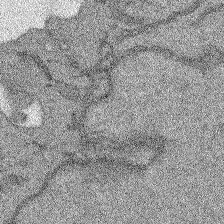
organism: Human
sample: HeLa cells